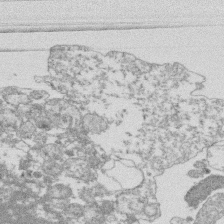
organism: Human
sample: HeLa cell HIV synapse